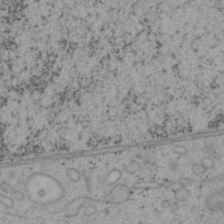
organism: Human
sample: HeLa cells